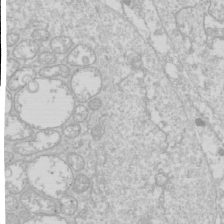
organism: Drosophila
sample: Cell division; meiosis; drosophila spermatocytes